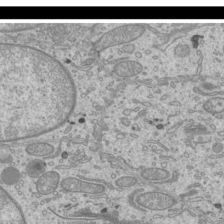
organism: Mouse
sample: Cilia; mouse epididymis